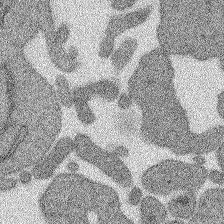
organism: Human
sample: HeLa cells